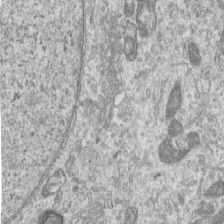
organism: Human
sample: Centriole in RPE cells